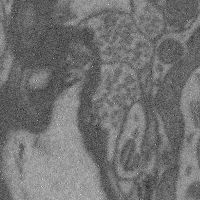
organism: Mouse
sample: Cerebral cortex